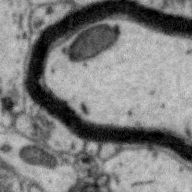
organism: Zebra finch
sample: Brain